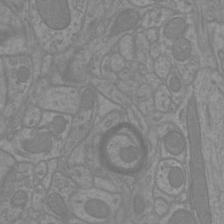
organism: Mouse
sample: Cortical neurons